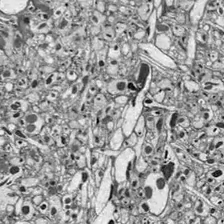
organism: Drosophila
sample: Optic lobe